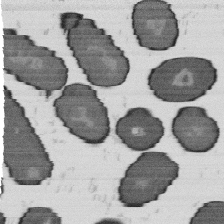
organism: B. subtilis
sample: Bacterial spore